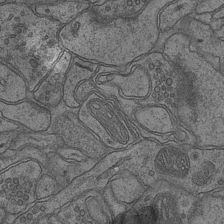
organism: Mouse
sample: CA1 Hippocampus